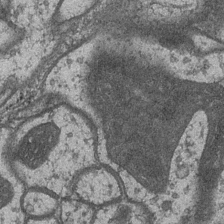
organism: Drosophila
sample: Optic medulla